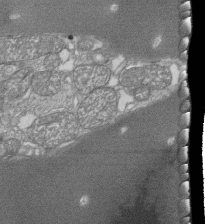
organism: Tetrahymena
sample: Cilia in tetrahymena